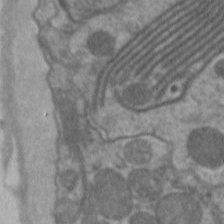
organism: C. elegans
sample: Pharynx